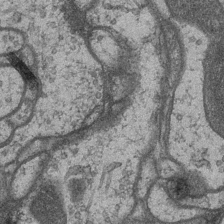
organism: Drosophila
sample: Optic medulla